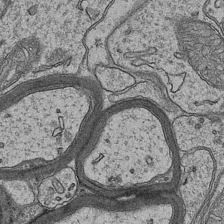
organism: Mouse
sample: CA1 Hippocampus